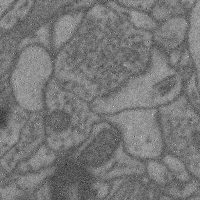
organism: Mouse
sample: Cerebral cortex